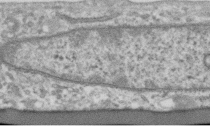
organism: Human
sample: Centriole in RPE cells